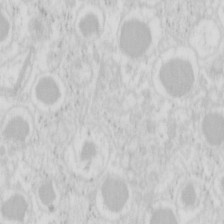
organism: Mouse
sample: Pancreas